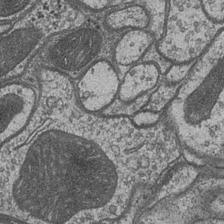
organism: Drosophila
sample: Optic medulla